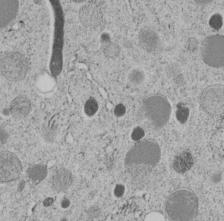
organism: C. elegans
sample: C. elegans embryo early stage